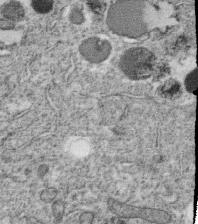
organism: C. elegans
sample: C. elegans oocyte; sperm cells